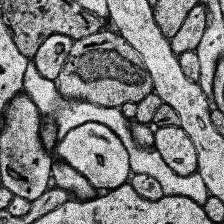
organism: Human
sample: Temporal Lobe